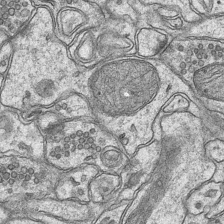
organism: Mouse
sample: CA1 Hippocampus